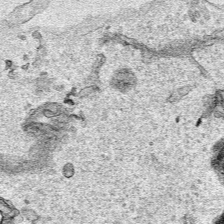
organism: Human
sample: Mitochondria in HCT116 cells